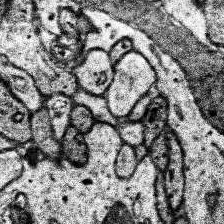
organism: Human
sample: Temporal Lobe